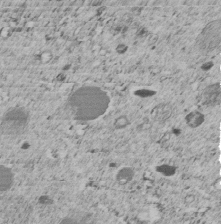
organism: C. elegans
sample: C. elegans embryo early stage